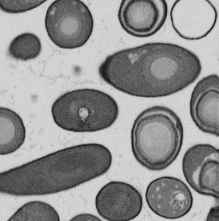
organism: B. subtilis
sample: Bacterial spore